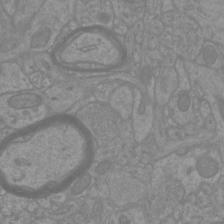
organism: Mouse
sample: Cortical neurons